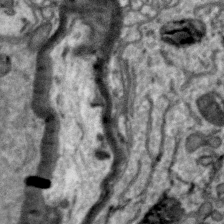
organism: Zebra finch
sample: Brain